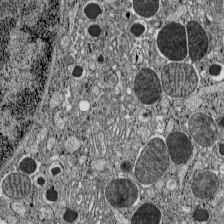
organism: C57BL Mouse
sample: Pancreatic islet